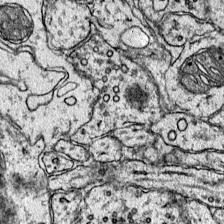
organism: Mouse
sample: Primary visual cortex